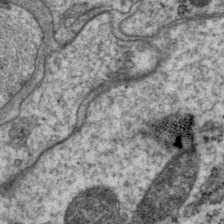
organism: P. pacificus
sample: Pharynx